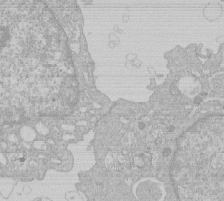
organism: Human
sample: Macrophage cells